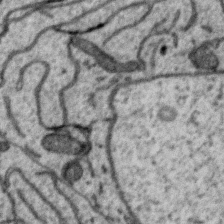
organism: Zebra finch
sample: Brain